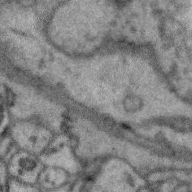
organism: Zebra finch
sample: Brain